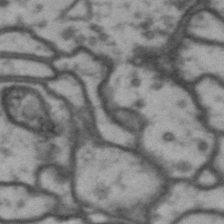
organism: Drosophila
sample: Brain